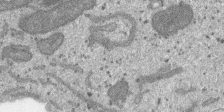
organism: Human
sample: Lung epithelial cells infected with SARS-CoV-2